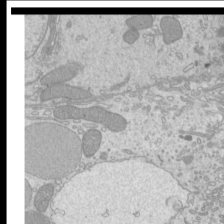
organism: Mouse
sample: Cilia; mouse epididymis